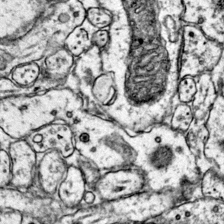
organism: Mouse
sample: Primary visual cortex